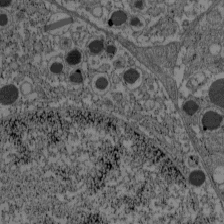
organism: C57BL Mouse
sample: Pancreatic islet